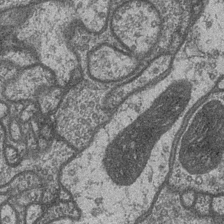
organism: Drosophila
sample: Optic medulla